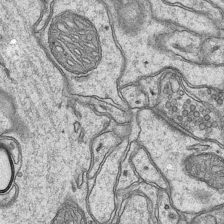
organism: Mouse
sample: CA1 Hippocampus